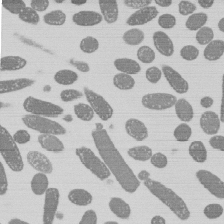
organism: E. coli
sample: Bacterial nucleoid